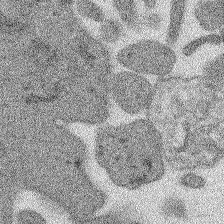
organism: Human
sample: HeLa cells